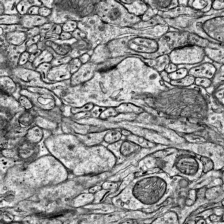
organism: Mouse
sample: Visual Cortex